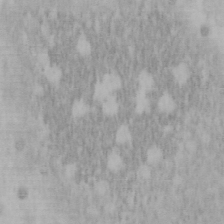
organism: Mouse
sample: OT-I killer T cells with ID8 ovarian cancer cells